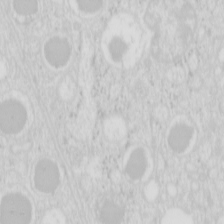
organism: Mouse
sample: Pancreas